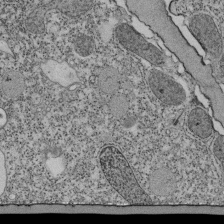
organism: Tetrahymena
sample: Cilia in tetrahymena